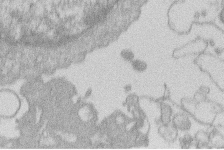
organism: Human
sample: Macrophage cells